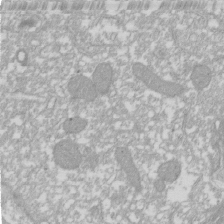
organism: Xenopus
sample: Cilia; centrioles in frog embryo cells